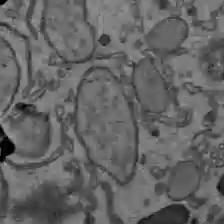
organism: C57BL Mouse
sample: Liver